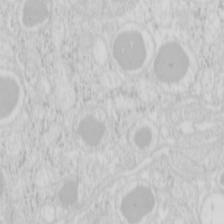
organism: Mouse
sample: Pancreas